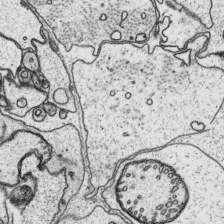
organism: Platynereis dumerilii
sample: Parapodia